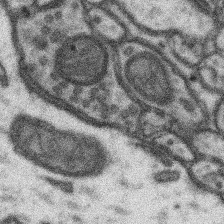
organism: Mouse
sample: Somatosensory cortex neuropil